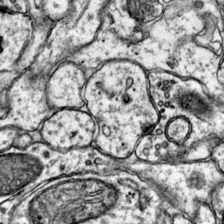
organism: Mouse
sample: Primary visual cortex